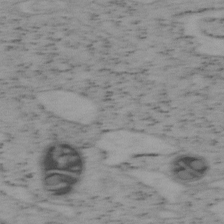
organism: Mouse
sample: OT-I killer T cells with ID8 ovarian cancer cells